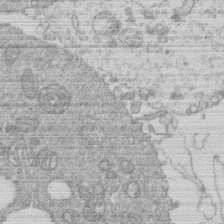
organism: Human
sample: Macrophage cells